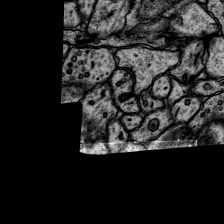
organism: Rat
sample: Hippocampus